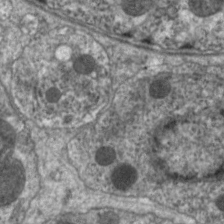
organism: C. elegans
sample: Pharynx